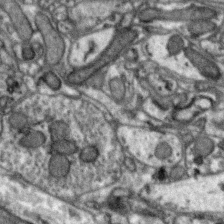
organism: Zebra finch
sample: Brain